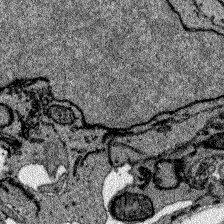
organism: Zebrafish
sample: Larval olfactory bulb